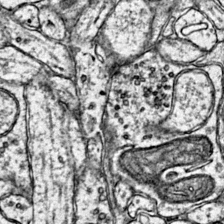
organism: Mouse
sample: Primary visual cortex